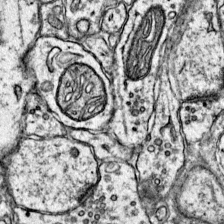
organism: Mouse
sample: Primary visual cortex